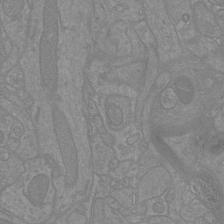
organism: Mouse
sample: Cortical neurons